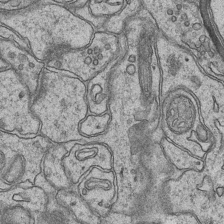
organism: Mouse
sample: CA1 Hippocampus